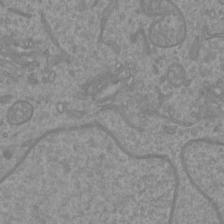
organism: Mouse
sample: Cortical neurons